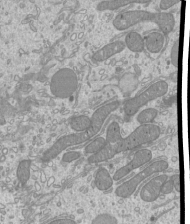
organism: Mouse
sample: Cilia; mouse epididymis